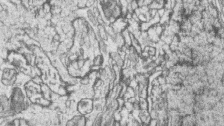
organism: Zebrafish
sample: synaptic ribbons in rod cells and cone cells